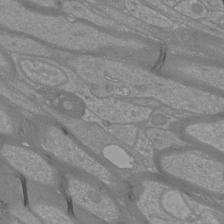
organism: Mouse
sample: Cortical neurons